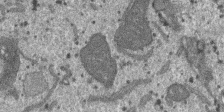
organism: Human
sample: Lung epithelial cells infected with SARS-CoV-2